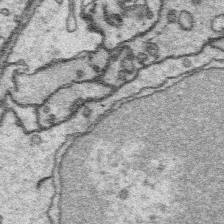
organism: Platynereis dumerilii